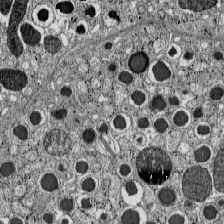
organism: C57BL Mouse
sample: Pancreatic islet